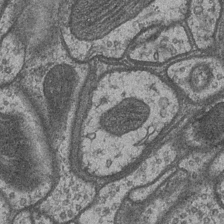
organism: Drosophila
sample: Optic medulla